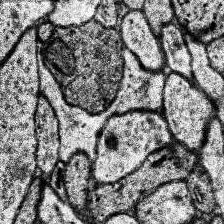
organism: Human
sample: Temporal Lobe